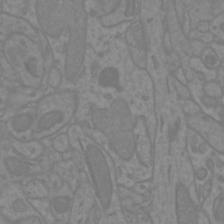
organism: Mouse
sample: Cortical neurons